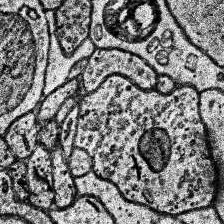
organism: Human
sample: Temporal Lobe